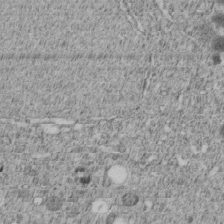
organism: C. elegans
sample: C. elegans embryo early stage